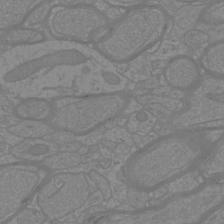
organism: Mouse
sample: Cortical neurons